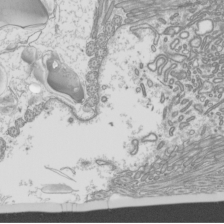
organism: Mouse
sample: Cilia; mouse epididymis